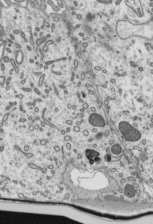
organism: Mouse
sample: Mouse epididymis efferent ductule cilia